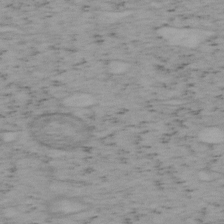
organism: Mouse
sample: OT-I killer T cells with ID8 ovarian cancer cells